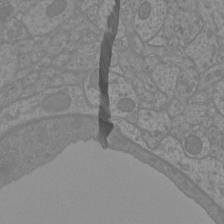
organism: Mouse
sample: Cortical neurons